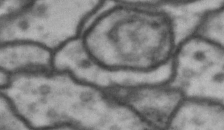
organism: Drosophila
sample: Brain